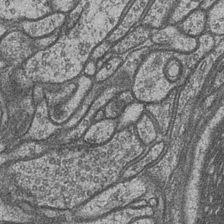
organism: Drosophila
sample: Optic medulla